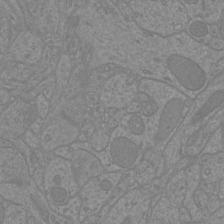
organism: Mouse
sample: Cortical neurons